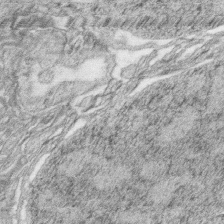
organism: Zebrafish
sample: synaptic ribbons in rod cells and cone cells